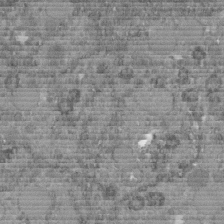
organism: C. elegans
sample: C. elegans embryo early stage